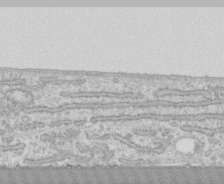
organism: Human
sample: CRL-1474